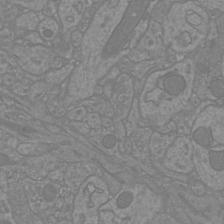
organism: Mouse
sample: Cortical neurons